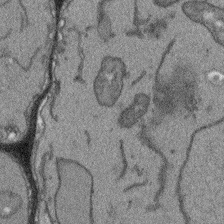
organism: Arabidopsis thaliana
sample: Root tip